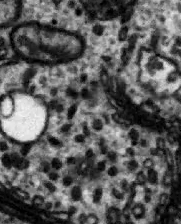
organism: Human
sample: HeLa cells